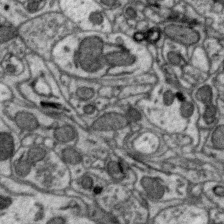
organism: Zebra finch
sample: Brain